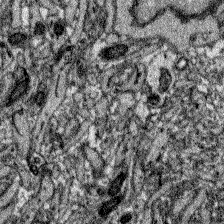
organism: Zebrafish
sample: Larval olfactory bulb